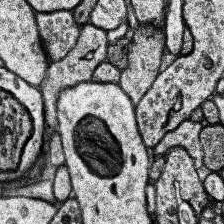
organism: Human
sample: Temporal Lobe